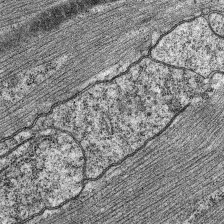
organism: C. elegans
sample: Pharynx